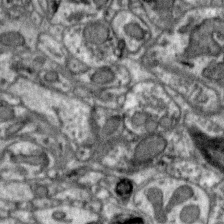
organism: Zebra finch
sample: Brain